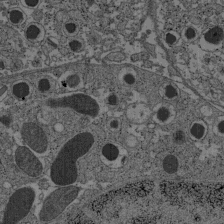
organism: C57BL Mouse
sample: Pancreatic islet